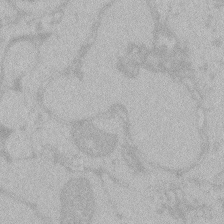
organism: Zebrafish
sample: Macrophage infected with Toxoplasma gondii